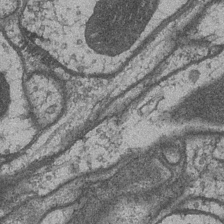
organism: Drosophila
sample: Optic medulla